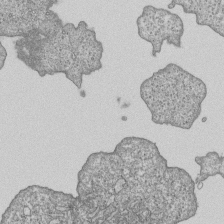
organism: Human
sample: MDA-MB-231 cells